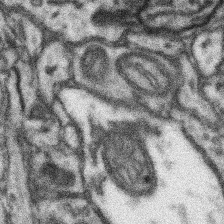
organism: Mouse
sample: Somatosensory cortex neuropil